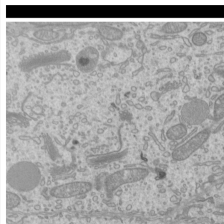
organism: Mouse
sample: Cilia; mouse epididymis